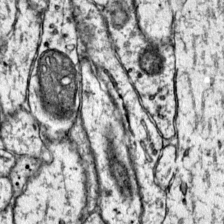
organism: Mouse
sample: Primary visual cortex